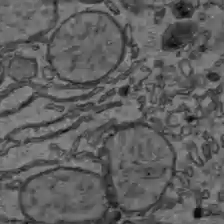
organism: C57BL Mouse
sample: Liver